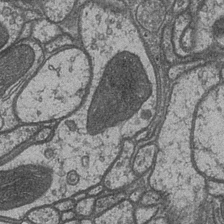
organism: Drosophila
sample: Optic medulla